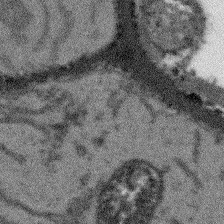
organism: Arabidopsis thaliana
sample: Root tip